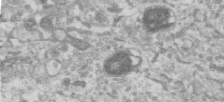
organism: Human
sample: Centriole in RPE cells